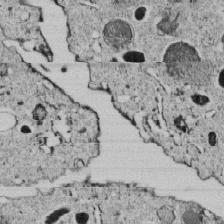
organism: C. elegans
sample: C. elegans embryo early stage